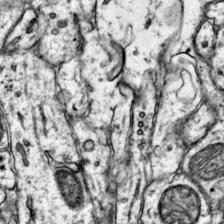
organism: Mouse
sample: Primary visual cortex